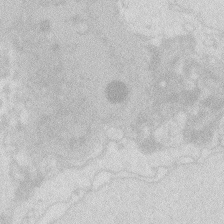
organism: Zebrafish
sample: Macrophage